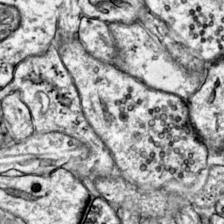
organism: Mouse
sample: Primary visual cortex